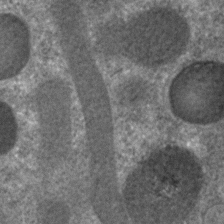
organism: C. elegans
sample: C. elegans embryo